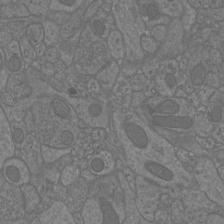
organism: Mouse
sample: Cortical neurons